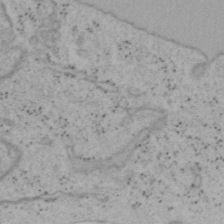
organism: Human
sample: HeLa cells